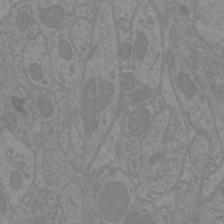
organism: Mouse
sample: Cortical neurons